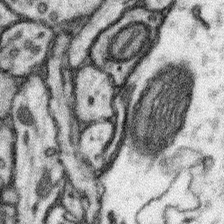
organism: Mouse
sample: Somatosensory cortex neuropil